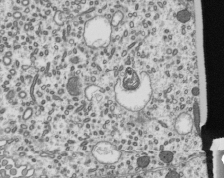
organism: Mouse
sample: Mouse epididymis efferent ductule cilia